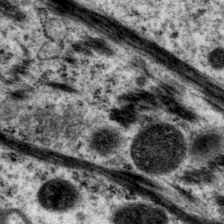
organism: P. pacificus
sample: Pharynx